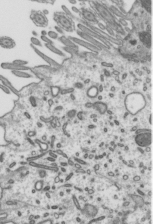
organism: Mouse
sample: Mouse epididymis efferent ductule cilia